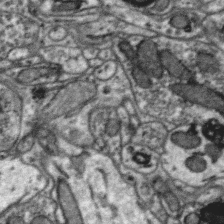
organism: Zebra finch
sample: Brain